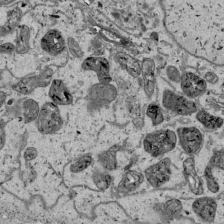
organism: Human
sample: Mitochondria in HCT116 cells